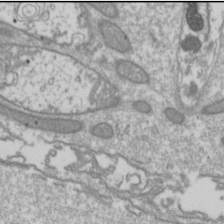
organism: Drosophila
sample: Cell division; meiosis; drosophila spermatocytes